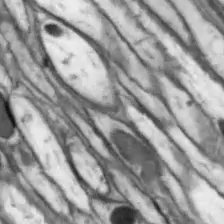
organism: Drosophila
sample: Optic lobe